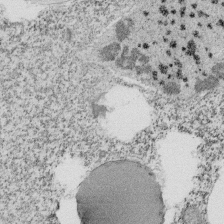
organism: Tetrahymena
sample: Cilia in tetrahymena